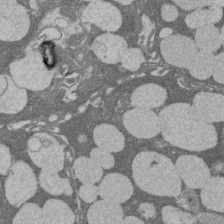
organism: Rat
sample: Salivary granule